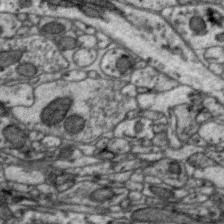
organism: Zebra finch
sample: Brain